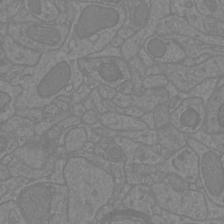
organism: Mouse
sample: Cortical neurons